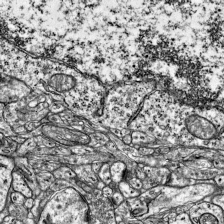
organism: Mouse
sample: Visual Cortex